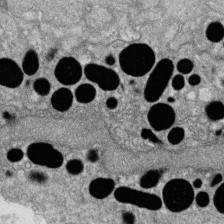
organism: Zebrafish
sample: Cilia; retinal pigment epithelium